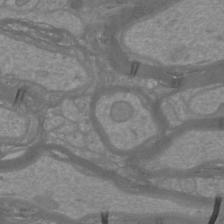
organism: Mouse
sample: Cortical neurons